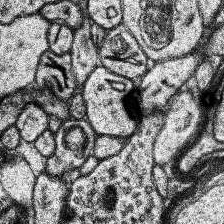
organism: Human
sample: Temporal Lobe